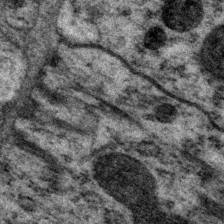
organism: P. pacificus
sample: Pharynx